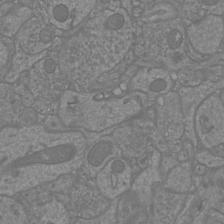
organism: Mouse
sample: Cortical neurons